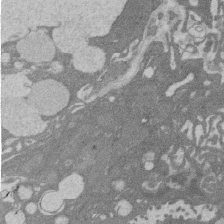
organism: Rat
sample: Salivary granule